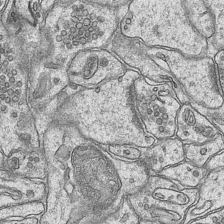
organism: Mouse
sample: CA1 Hippocampus